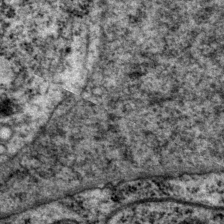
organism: P. pacificus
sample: Pharynx